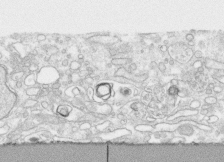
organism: Human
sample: CRL-1474